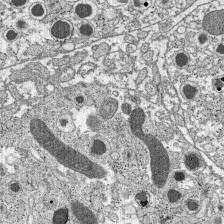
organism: C57BL Mouse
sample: Pancreatic islet